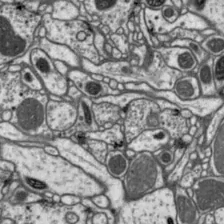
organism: Drosophila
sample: Protocerebral bridge